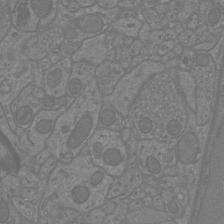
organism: Mouse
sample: Cortical neurons